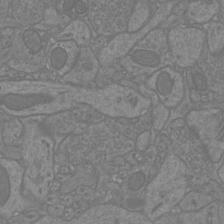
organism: Mouse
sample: Cortical neurons